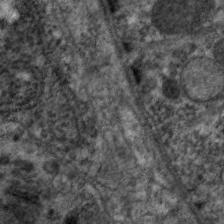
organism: C. elegans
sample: Pharynx